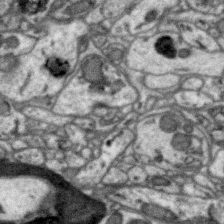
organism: Zebra finch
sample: Brain